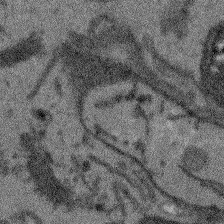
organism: Arabidopsis thaliana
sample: Root tip